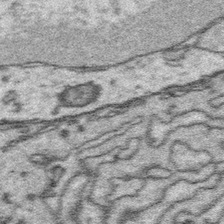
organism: Platynereis dumerilii